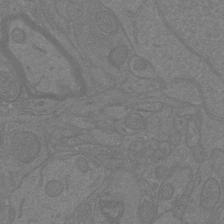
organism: Mouse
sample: Cortical neurons